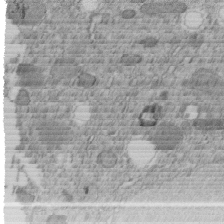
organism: C. elegans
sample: C. elegans embryo early stage